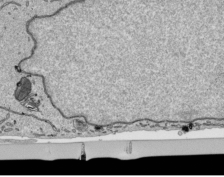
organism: Human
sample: Mitochondria in HCT116 cells